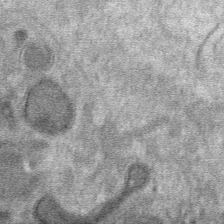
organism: Mouse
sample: Mouse hepatocytes